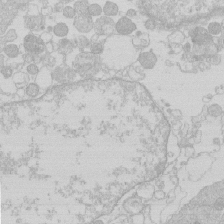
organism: Human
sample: Macrophage cells